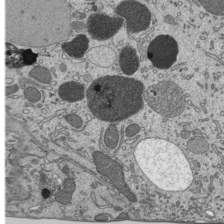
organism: Mouse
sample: Mouse epididymis efferent ductule cilia